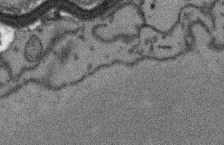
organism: Arabidopsis thaliana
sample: Root tip